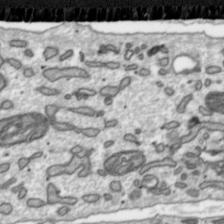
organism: Toxoplasma gondii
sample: Parasites in a vacuole inside a host cell